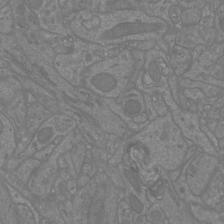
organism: Mouse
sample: Cortical neurons